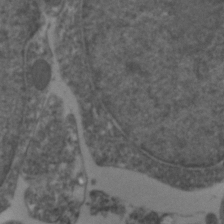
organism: Zebrafish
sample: Zebrafish embryo